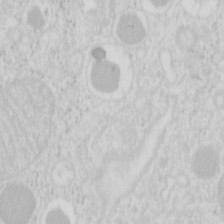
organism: Mouse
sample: Pancreas